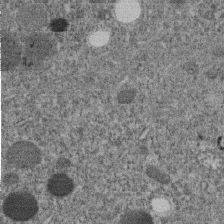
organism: C. elegans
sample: C. elegans embryo early stage